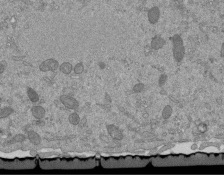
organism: Mouse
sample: ED-1 cell nuclei; centrioles